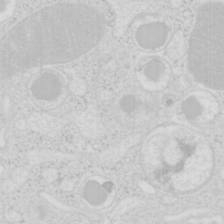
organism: Mouse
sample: Pancreas